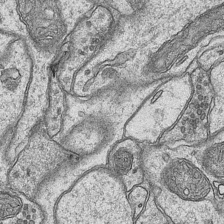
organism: Mouse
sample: CA1 Hippocampus